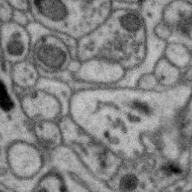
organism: Zebra finch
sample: Brain